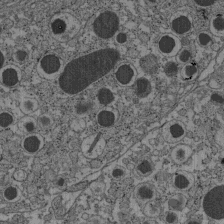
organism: C57BL Mouse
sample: Pancreatic islet